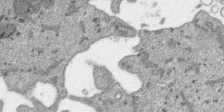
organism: Human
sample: Lung epithelial cells infected with SARS-CoV-2